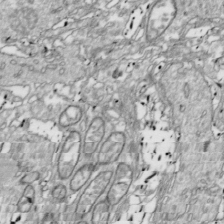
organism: Drosophila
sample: Cell division; meiosis; drosophila spermatocytes